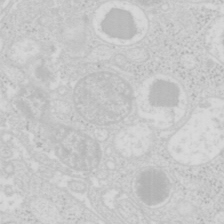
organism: Mouse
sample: Pancreas